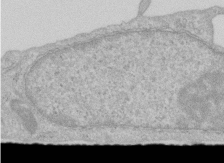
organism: Human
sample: Centriole in RPE cells